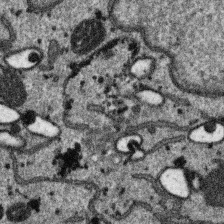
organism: Human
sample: Lung epithelial cells infected with SARS-CoV-2